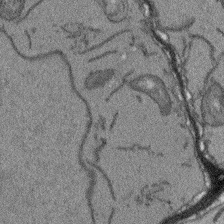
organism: Arabidopsis thaliana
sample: Root tip